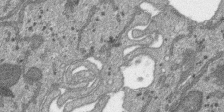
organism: Human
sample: Lung epithelial cells infected with SARS-CoV-2